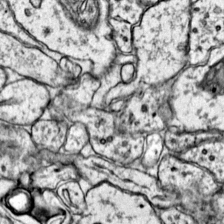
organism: Mouse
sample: Primary visual cortex